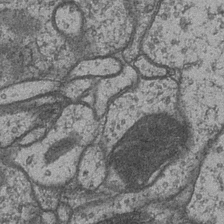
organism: Drosophila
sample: Optic medulla